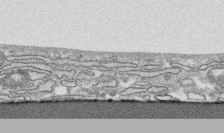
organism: Human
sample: CRL-1474